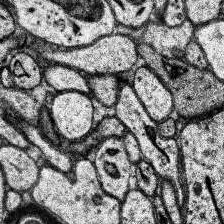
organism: Human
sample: Temporal Lobe